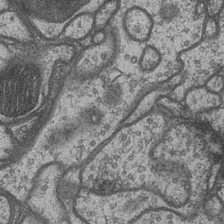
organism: Drosophila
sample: Optic medulla